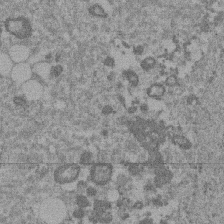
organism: Mouse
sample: Dividing mouse embryo 1 cell stage